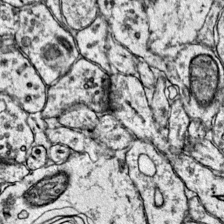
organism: Mouse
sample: Primary visual cortex